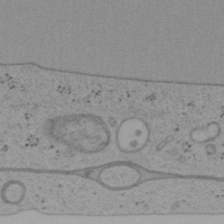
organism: Human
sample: HeLa cells